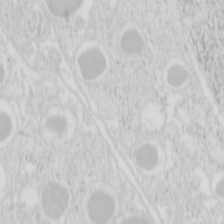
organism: Mouse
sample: Pancreas